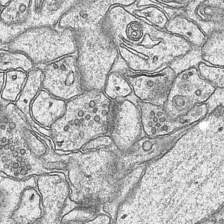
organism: Mouse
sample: CA1 Hippocampus